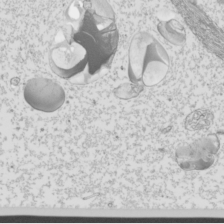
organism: Mouse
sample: Cilia; mouse epididymis